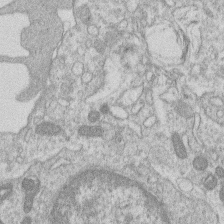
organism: Human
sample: Macrophage cells